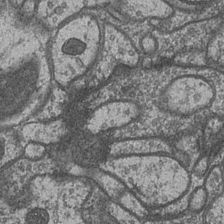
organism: Drosophila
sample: Optic medulla